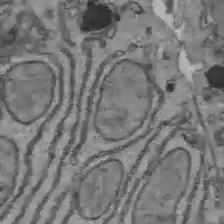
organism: C57BL Mouse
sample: Liver